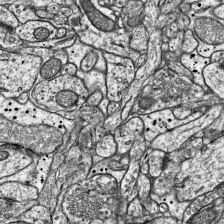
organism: Mouse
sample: Visual Cortex